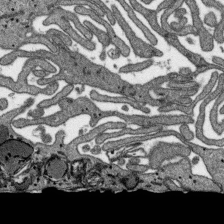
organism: Human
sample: Lung epithelial cells, uninfected (mock) control